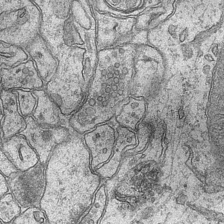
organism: Mouse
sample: CA1 Hippocampus